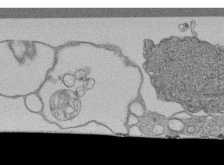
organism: Human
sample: Retinal organoid Rod and Cone cells